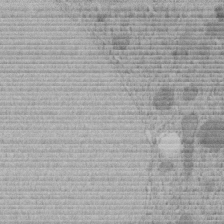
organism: C. elegans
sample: C. elegans embryo early stage